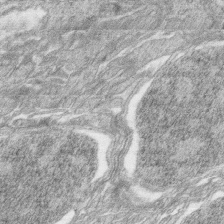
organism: Zebrafish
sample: synaptic ribbons in rod cells and cone cells